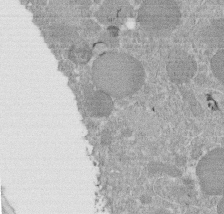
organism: C. elegans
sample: C. elegans embryo early stage